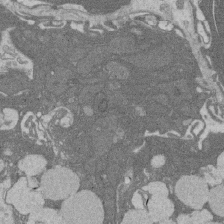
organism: Rat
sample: Salivary granule